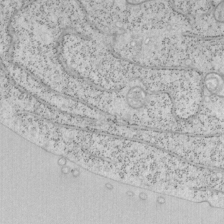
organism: Mouse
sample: OT-I killer T cells with ID8 ovarian cancer cells